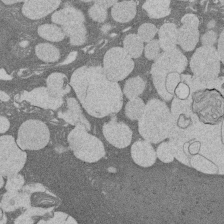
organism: Rat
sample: Salivary granule